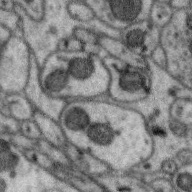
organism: Zebra finch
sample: Brain